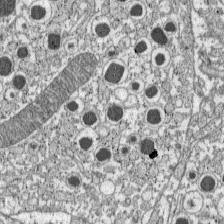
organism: C57BL Mouse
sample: Pancreatic islet